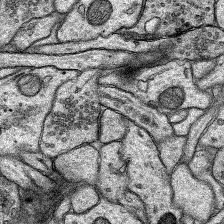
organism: Rat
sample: Hippocampus